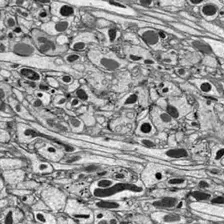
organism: Drosophila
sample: Optic lobe